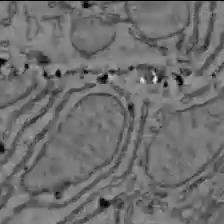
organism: C57BL Mouse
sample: Liver